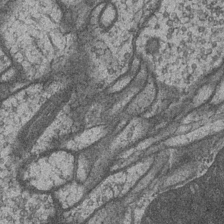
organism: Drosophila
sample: Optic medulla